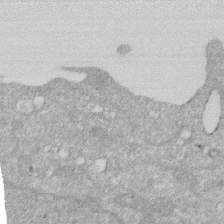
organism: Human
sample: HIV infected U937 cells